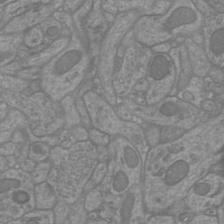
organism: Mouse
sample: Cortical neurons